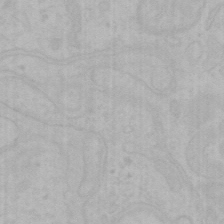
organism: Mouse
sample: Choroid plexus